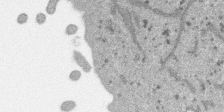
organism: Human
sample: Lung epithelial cells infected with SARS-CoV-2